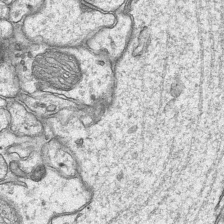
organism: Mouse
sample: CA1 Hippocampus